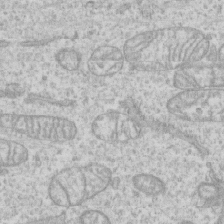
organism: Human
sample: CRL-1474